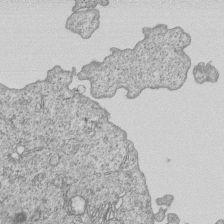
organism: Human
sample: MDA-MB-231 cells